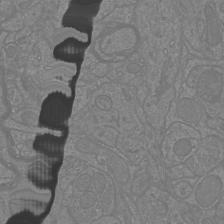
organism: Mouse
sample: Cortical neurons